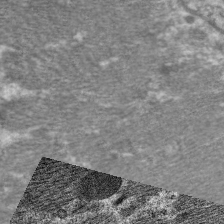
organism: C. elegans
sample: Pharynx